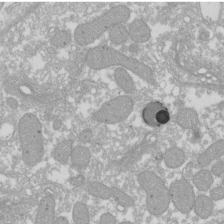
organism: Xenopus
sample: Cilia; centrioles in frog embryo cells